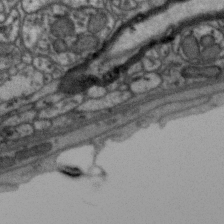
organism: Zebra finch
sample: Brain